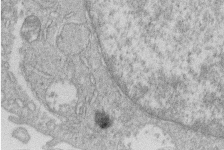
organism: Human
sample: Macrophage cells